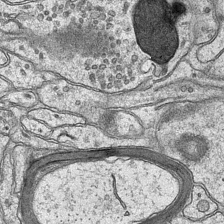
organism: Mouse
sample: CA1 Hippocampus